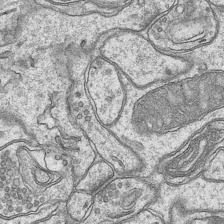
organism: Mouse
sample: CA1 Hippocampus